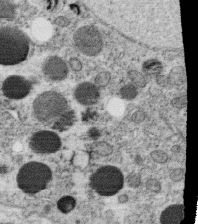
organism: C. elegans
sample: C. elegans oocyte; sperm cells